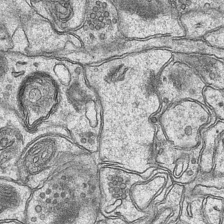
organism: Mouse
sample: CA1 Hippocampus